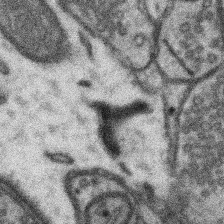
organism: Mouse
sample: Somatosensory cortex neuropil